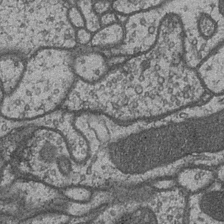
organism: Drosophila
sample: Optic medulla